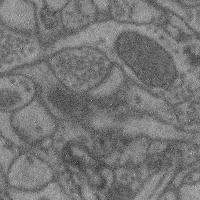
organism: Mouse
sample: Cerebral cortex